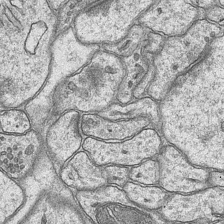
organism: Mouse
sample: CA1 Hippocampus